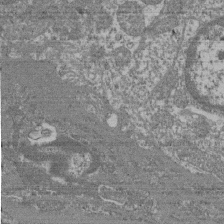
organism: Mouse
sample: Glomerulus